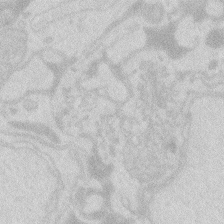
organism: Zebrafish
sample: Macrophage